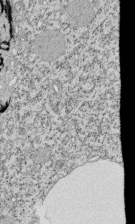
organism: Tetrahymena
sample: Cilia in tetrahymena